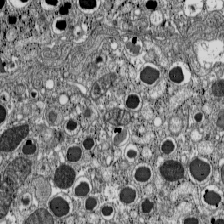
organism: C57BL Mouse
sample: Pancreatic islet